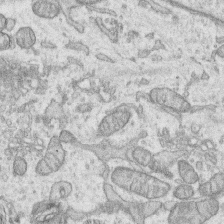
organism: Human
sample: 1205lu cells